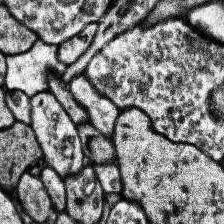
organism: Human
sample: Temporal Lobe